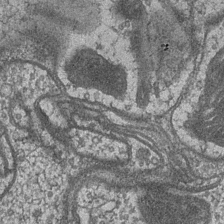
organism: Drosophila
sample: Optic medulla